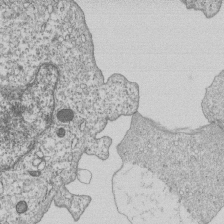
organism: Human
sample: MDA-MB-231 cells